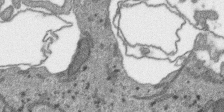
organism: Human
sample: Lung epithelial cells infected with SARS-CoV-2